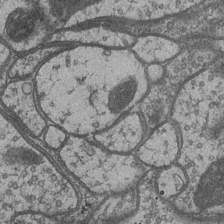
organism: Drosophila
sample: Optic medulla